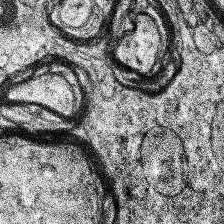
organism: Human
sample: Temporal Lobe